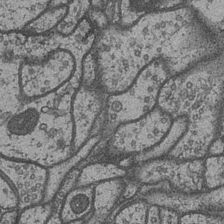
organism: Drosophila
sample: Optic medulla